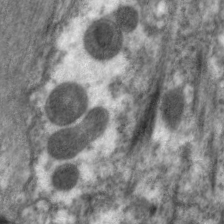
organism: C. elegans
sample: Pharynx